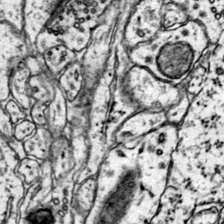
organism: Mouse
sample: Primary visual cortex